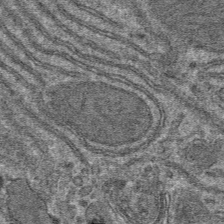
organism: Mouse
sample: Mouse hepatocytes